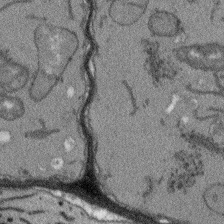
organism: Arabidopsis thaliana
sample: Root tip